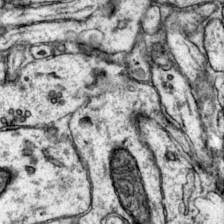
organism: Mouse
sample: Primary visual cortex